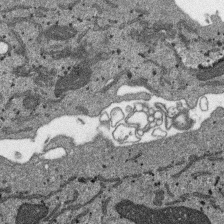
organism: Human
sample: Lung epithelial cells infected with SARS-CoV-2